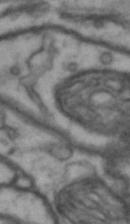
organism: Drosophila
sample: Brain